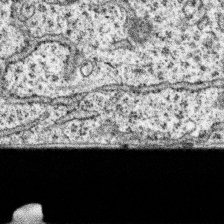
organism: Human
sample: HeLa cells